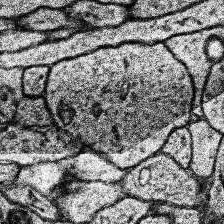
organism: Human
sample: Temporal Lobe